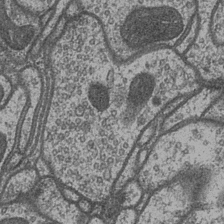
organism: Drosophila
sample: Optic medulla